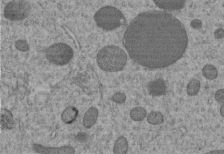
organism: C. elegans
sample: C. elegans embryo early stage